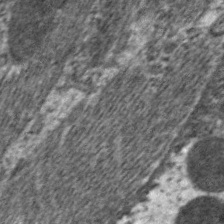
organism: C. elegans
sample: Pharynx